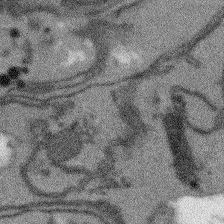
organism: Arabidopsis thaliana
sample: Root tip